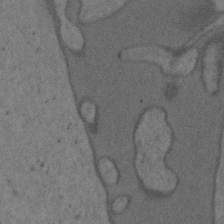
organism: Human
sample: HeLa cells